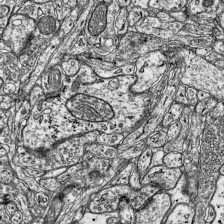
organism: Mouse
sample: Visual Cortex